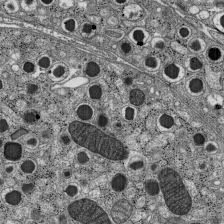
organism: C57BL Mouse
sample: Pancreatic islet